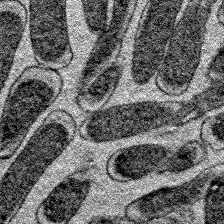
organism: E. coli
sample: E. Coli Bacteria